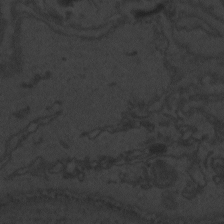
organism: Zebrafish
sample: Macrophage infected with Toxoplasma gondii